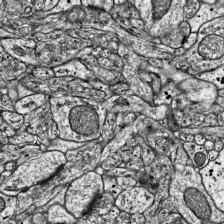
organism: Mouse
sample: Visual Cortex